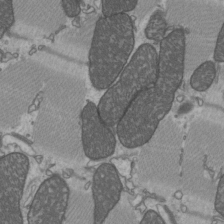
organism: C57BL Mouse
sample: Heart